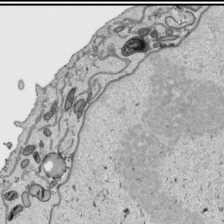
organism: Human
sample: Mitochondria in HCT116 cells